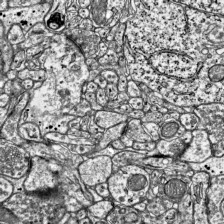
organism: Mouse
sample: Visual Cortex